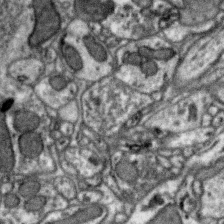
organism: Zebra finch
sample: Brain